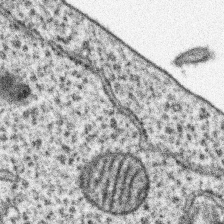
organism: Human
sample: HeLa cells